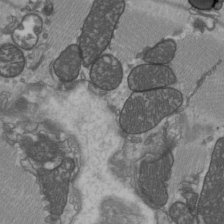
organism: C57BL Mouse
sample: Heart